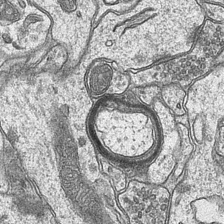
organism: Mouse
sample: CA1 Hippocampus